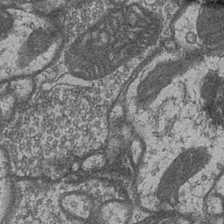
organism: Drosophila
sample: Optic medulla